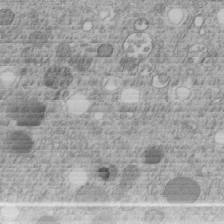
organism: C. elegans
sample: C. elegans embryo early stage